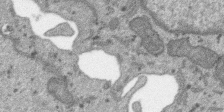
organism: Human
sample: Lung epithelial cells infected with SARS-CoV-2